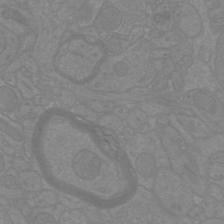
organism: Mouse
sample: Cortical neurons